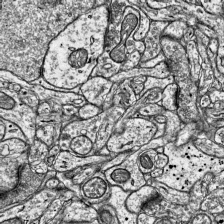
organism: Mouse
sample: Visual Cortex